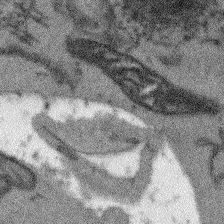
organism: Arabidopsis thaliana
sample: Root tip